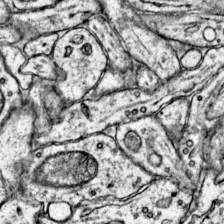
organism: Mouse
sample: Primary visual cortex